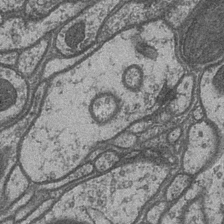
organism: Drosophila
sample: Optic medulla